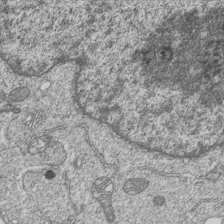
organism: Human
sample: MDA-MB-231 cells